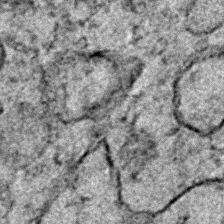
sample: Trachea